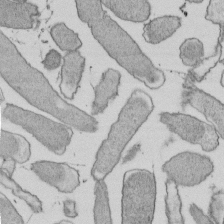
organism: E. coli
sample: Bacterial nucleoid